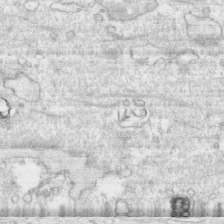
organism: Human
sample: CRL-1474